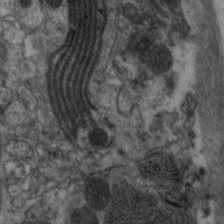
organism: C. elegans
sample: Pharynx